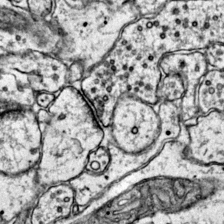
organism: Mouse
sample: Primary visual cortex